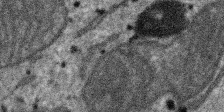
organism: Human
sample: Lung epithelial cells infected with SARS-CoV-2